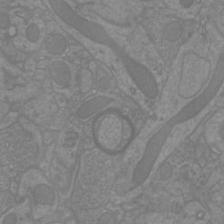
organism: Mouse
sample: Cortical neurons